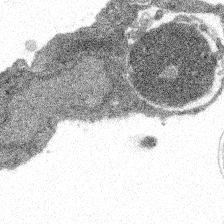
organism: Spongilla lacustris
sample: Multiple